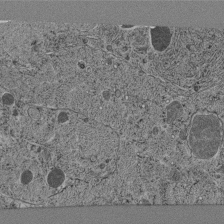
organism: C. elegans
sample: C. elegans pharynx